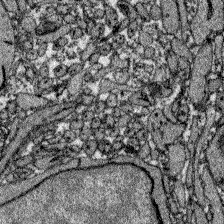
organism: Zebrafish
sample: Larval olfactory bulb